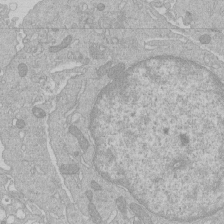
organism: Human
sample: Macrophage cells